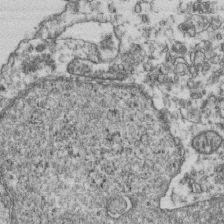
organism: Human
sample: Activated Jurkat CD4+ T cells